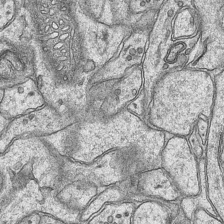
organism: Mouse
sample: CA1 Hippocampus